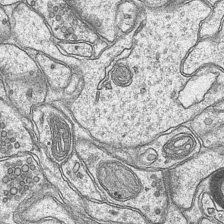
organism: Mouse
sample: CA1 Hippocampus